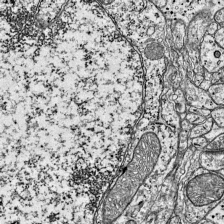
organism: Mouse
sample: Visual Cortex